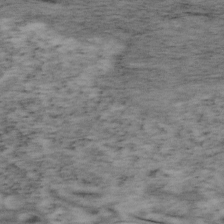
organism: Mouse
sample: OT-I killer T cells with ID8 ovarian cancer cells